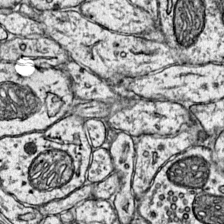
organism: Mouse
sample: Primary visual cortex